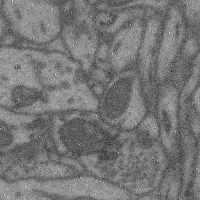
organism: Mouse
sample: Cerebral cortex